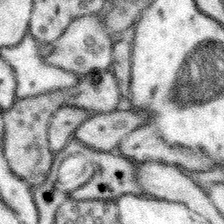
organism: Mouse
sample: Somatosensory cortex neuropil